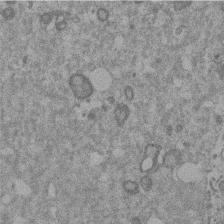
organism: Mouse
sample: Dividing mouse embryo 1 cell stage